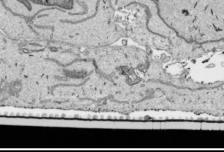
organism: Human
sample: Mitochondria in HCT116 cells